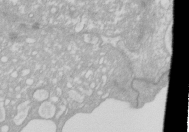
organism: Xenopus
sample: Cilia; centrioles in frog embryo cells